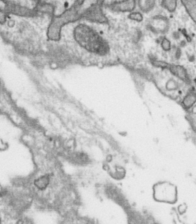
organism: Toxoplasma gondii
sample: Parasites in a vacuole inside a host cell